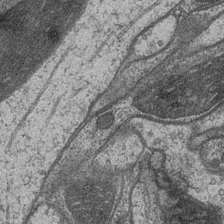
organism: Drosophila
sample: Optic medulla